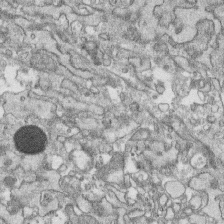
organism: Human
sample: CRL-1474